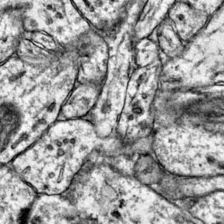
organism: Mouse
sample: Primary visual cortex